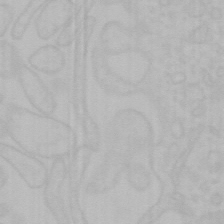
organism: Mouse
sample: Choroid plexus